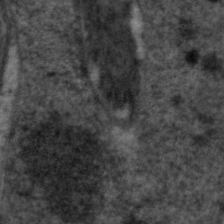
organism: C. elegans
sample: Pharynx